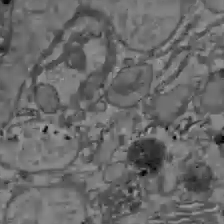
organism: C57BL Mouse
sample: Liver